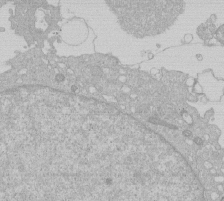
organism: Human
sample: Macrophage cells